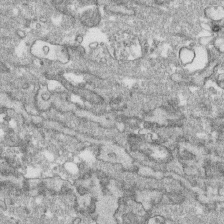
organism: Human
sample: CRL-1474